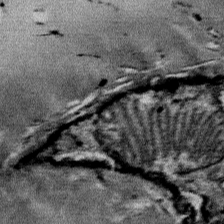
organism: Mouse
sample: Mouse Salivary gland